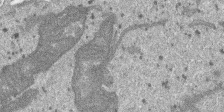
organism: Human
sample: Lung epithelial cells infected with SARS-CoV-2